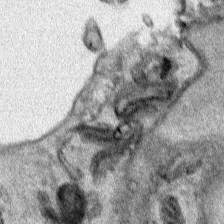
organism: Human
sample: Mitochondria in HCT116 cells